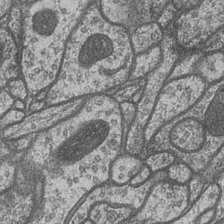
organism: Drosophila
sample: Optic medulla